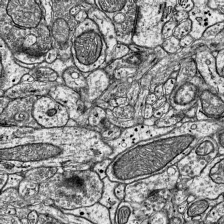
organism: Mouse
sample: Visual Cortex